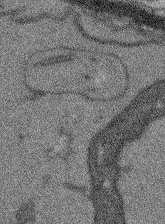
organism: Arabidopsis thaliana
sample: Root tip